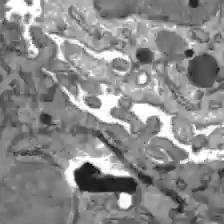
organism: C57BL Mouse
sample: Liver